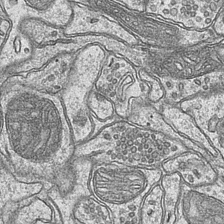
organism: Mouse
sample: CA1 Hippocampus